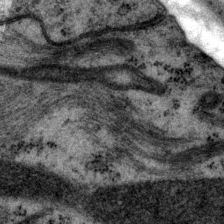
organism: P. pacificus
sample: Pharynx